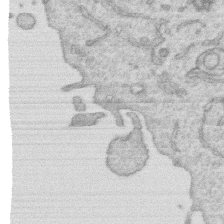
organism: Human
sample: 1205lu cells